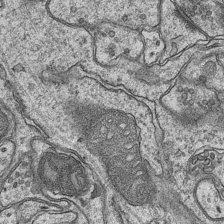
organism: Mouse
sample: CA1 Hippocampus